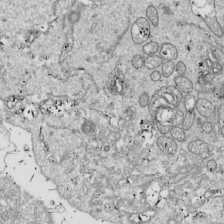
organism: Drosophila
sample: Cell division; meiosis; drosophila spermatocytes